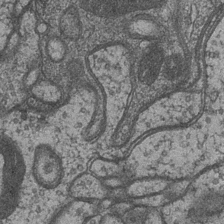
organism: Drosophila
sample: Optic medulla